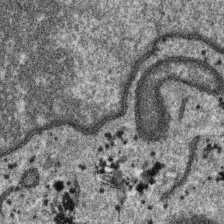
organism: Human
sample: Lung epithelial cells infected with SARS-CoV-2